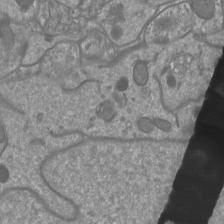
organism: Mouse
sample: Cortical neurons